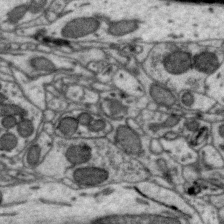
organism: Zebra finch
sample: Brain